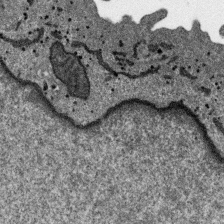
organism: Human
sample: Lung epithelial cells, uninfected (mock) control